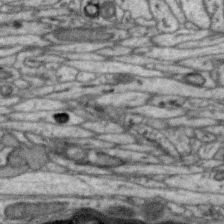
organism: Zebra finch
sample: Brain